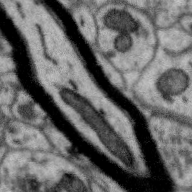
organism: Zebra finch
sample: Brain